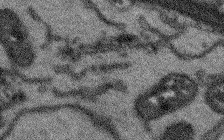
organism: Arabidopsis thaliana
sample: Root tip